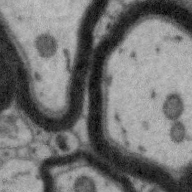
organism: Zebra finch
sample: Brain